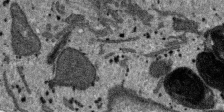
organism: Human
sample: Lung epithelial cells, uninfected (mock) control